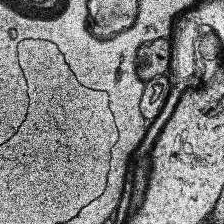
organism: Human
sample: Temporal Lobe